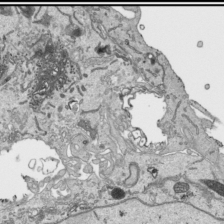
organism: Human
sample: Mitochondria in HCT116 cells